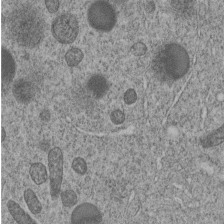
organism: C. elegans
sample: C. elegans embryo early stage